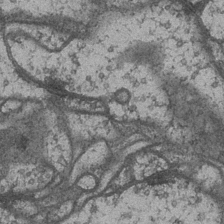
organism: Drosophila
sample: Optic medulla